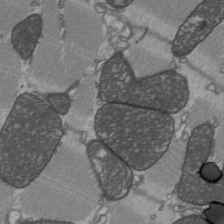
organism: C57BL Mouse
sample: Heart